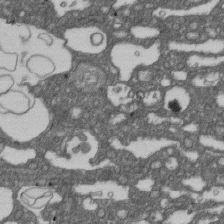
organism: Drosophila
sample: Nephrocyte